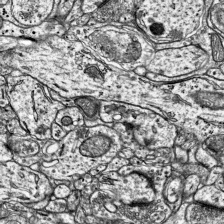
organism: Mouse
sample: Visual Cortex